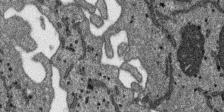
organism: Human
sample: Lung epithelial cells infected with SARS-CoV-2